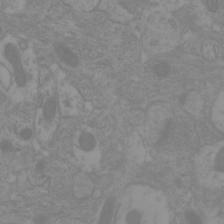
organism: Mouse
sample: Cortical neurons